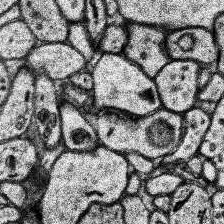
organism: Human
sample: Temporal Lobe